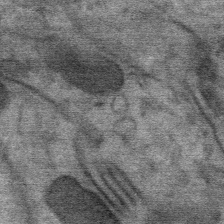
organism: Mouse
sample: Mouse Salivary gland